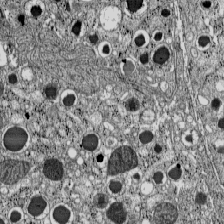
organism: C57BL Mouse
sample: Pancreatic islet